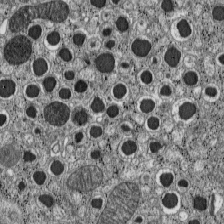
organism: C57BL Mouse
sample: Pancreatic islet